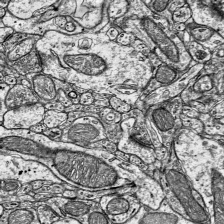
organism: Mouse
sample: Visual Cortex